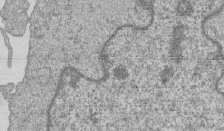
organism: Human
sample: MDA-MB-231 cells